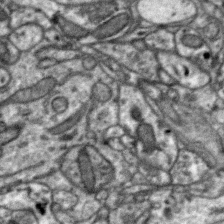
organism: Zebra finch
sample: Brain